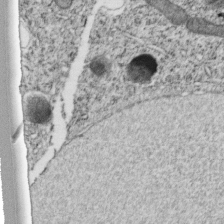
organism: C. elegans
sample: C. elegans embryo early stage